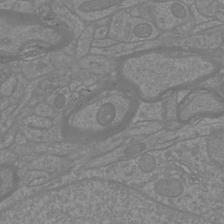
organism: Mouse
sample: Cortical neurons